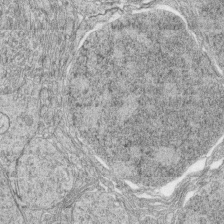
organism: Zebrafish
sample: synaptic ribbons in rod cells and cone cells